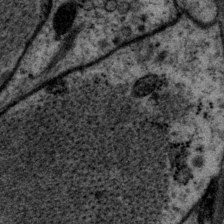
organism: P. pacificus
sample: Pharynx